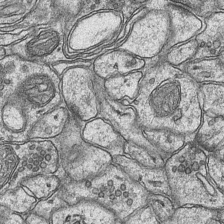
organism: Mouse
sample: CA1 Hippocampus